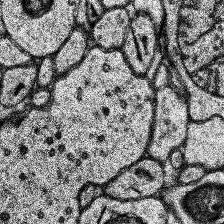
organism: Human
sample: Temporal Lobe